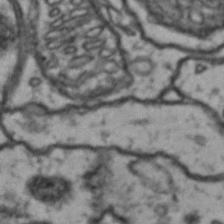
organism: Drosophila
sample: Brain